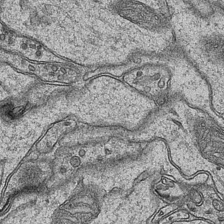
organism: Mouse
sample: CA1 Hippocampus